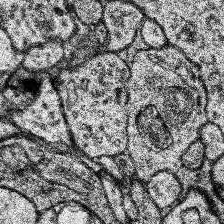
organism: Human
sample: Temporal Lobe